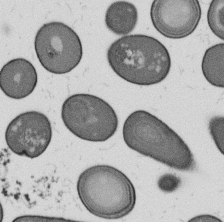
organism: B. subtilis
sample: Bacterial spore